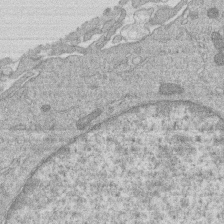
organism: Human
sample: Macrophage cells